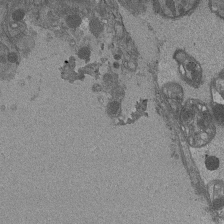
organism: Drosophila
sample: Antenna